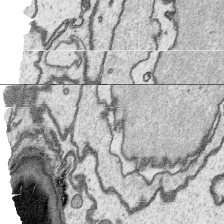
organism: Platynereis dumerilii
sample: Parapodia